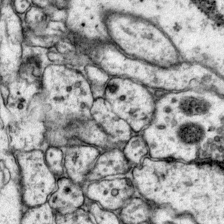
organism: Mouse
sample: Primary visual cortex